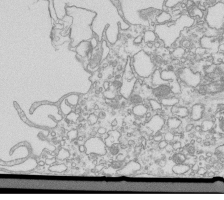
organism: Mouse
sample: Macrophages